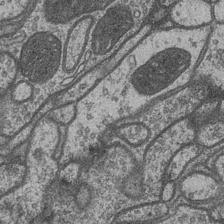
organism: Drosophila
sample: Optic medulla